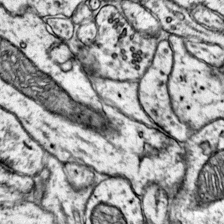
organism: Mouse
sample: Primary visual cortex